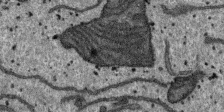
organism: Human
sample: Lung epithelial cells, uninfected (mock) control